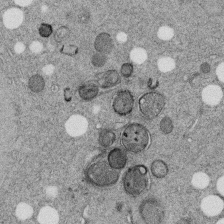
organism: C. elegans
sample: C. elegans embryo early stage